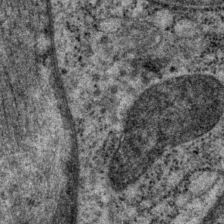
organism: P. pacificus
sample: Pharynx